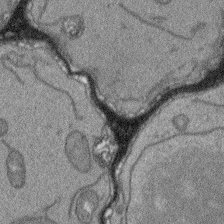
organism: Arabidopsis thaliana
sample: Root tip